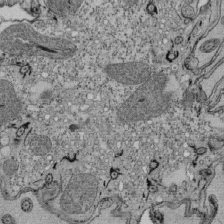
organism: Tetrahymena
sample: Cilia in tetrahymena